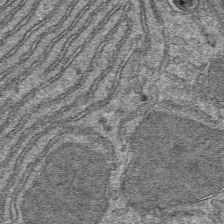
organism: Mouse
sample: Mouse hepatocytes